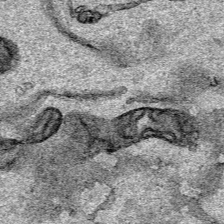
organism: Human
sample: Mitochondria in HCT116 cells